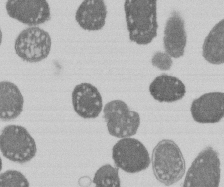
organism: E. coli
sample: Bacterial nucleoid